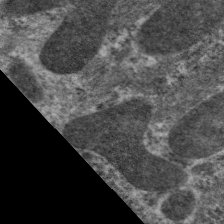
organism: C. elegans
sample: Pharynx